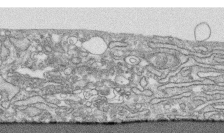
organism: Human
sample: CRL-1474